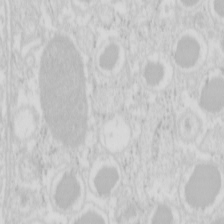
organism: Mouse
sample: Pancreas